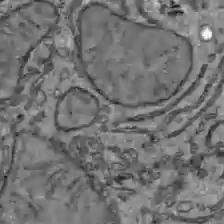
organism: C57BL Mouse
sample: Liver